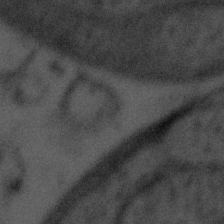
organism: Tuwongella immobilis